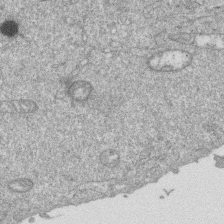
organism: Human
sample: HeLa cell HIV synapse